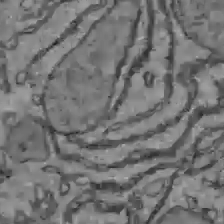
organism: C57BL Mouse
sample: Liver